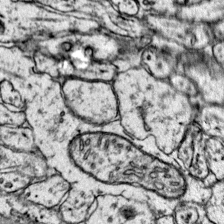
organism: Mouse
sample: Primary visual cortex